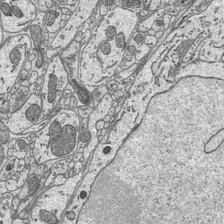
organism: Mouse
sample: Suprachiasmatic nucleus